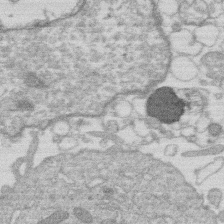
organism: Human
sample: Macrophage cells